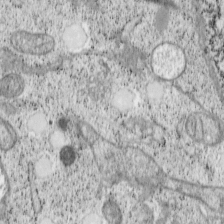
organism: African green monkey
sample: COS-7 cells